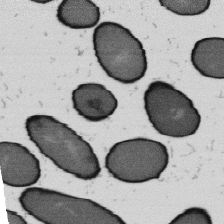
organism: B. subtilis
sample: Bacterial spore